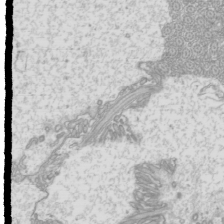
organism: Mouse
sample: Cilia; mouse epididymis